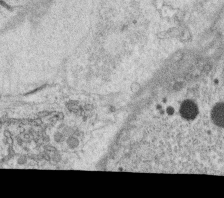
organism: C. elegans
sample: C. elegans oocyte; sperm cells